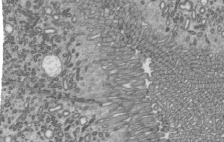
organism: Mouse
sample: Mouse epididymis efferent ductule cilia